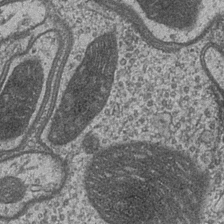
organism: Drosophila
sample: Optic medulla